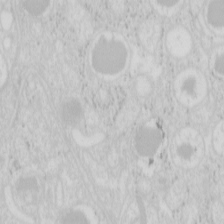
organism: Mouse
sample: Pancreas